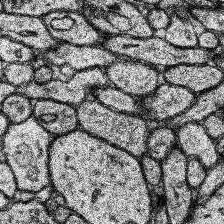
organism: Human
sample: Temporal Lobe